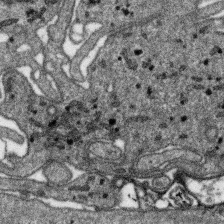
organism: Human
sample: Lung epithelial cells infected with SARS-CoV-2